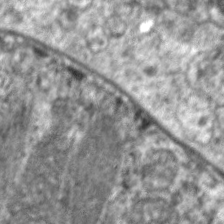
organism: C. elegans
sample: Pharynx